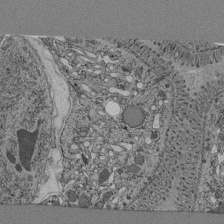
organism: C. elegans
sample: C. elegans pharynx